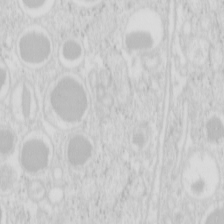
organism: Mouse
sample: Pancreas